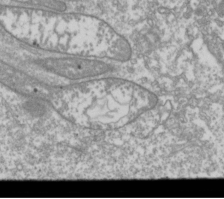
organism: Drosophila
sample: Cell division; meiosis; drosophila spermatocytes